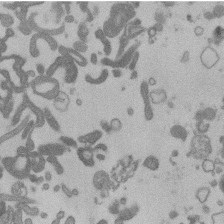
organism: Mouse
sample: Dividing mouse embryo 1 cell stage